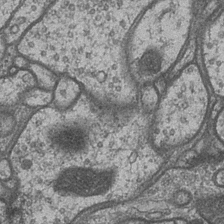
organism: Drosophila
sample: Optic medulla